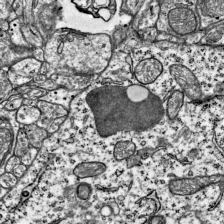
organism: Mouse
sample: Visual Cortex